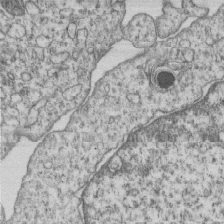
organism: Human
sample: MDA-MB-231 cells